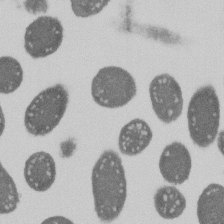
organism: E. coli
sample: Bacterial nucleoid